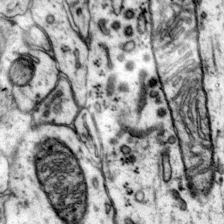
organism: Mouse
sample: Primary visual cortex